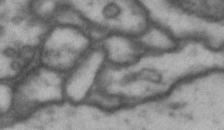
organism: Drosophila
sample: Brain